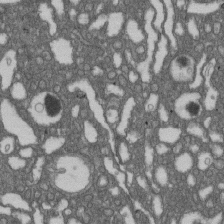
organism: Drosophila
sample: Nephrocyte